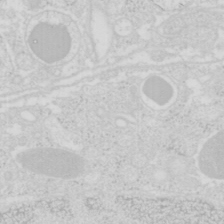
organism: Mouse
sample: Pancreas